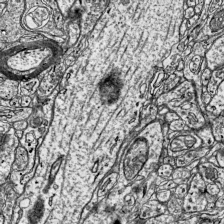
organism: Mouse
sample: Visual Cortex